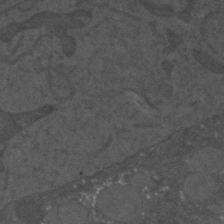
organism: C. elegans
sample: C. elegans embryo